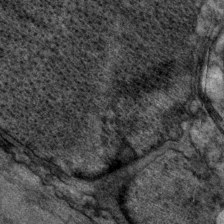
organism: P. pacificus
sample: Pharynx